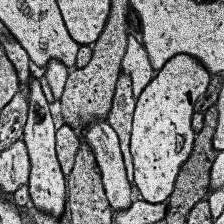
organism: Human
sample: Temporal Lobe